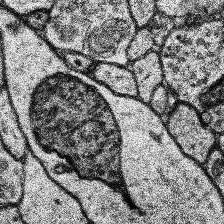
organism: Human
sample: Temporal Lobe